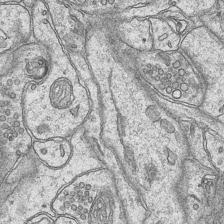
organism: Mouse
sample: CA1 Hippocampus